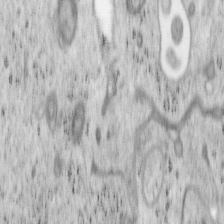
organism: Human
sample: HeLa cells